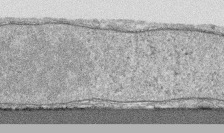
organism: Human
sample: CRL-1474